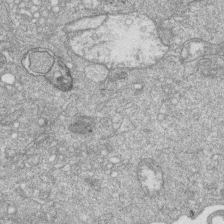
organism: Human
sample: HeLa cell HIV synapse